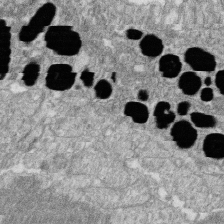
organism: Zebrafish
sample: Cilia; retinal pigment epithelium